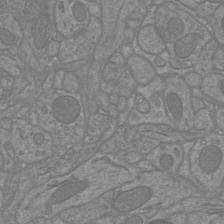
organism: Mouse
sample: Cortical neurons